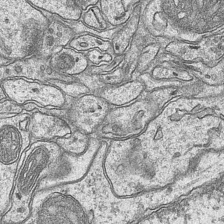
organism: Mouse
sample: CA1 Hippocampus